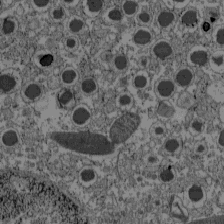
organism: C57BL Mouse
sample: Pancreatic islet